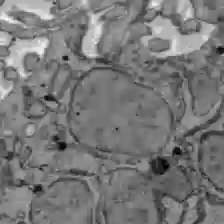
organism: C57BL Mouse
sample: Liver